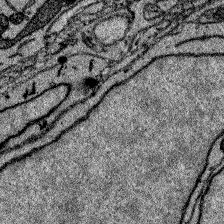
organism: Zebrafish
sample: Larval olfactory bulb